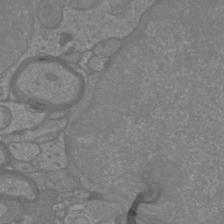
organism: Mouse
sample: Cortical neurons